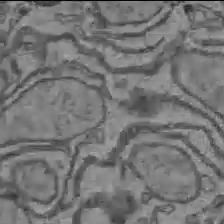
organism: C57BL Mouse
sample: Liver